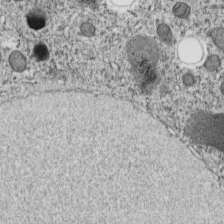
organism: C. elegans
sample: C. elegans embryo early stage